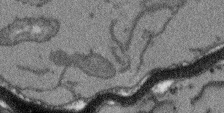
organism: Arabidopsis thaliana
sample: Root tip